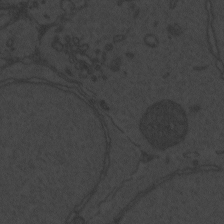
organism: Zebrafish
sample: Macrophage infected with Toxoplasma gondii